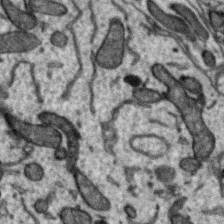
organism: Zebra finch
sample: Brain